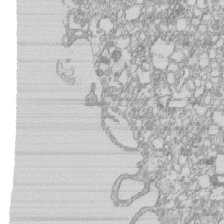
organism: Mouse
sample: Macrophages